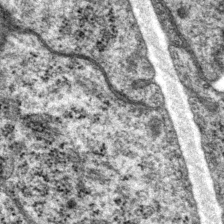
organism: P. pacificus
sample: Pharynx